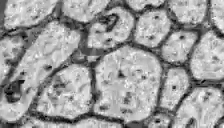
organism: Zebrafish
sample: Brain